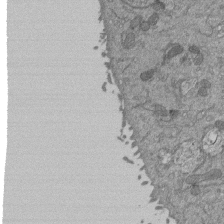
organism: Mouse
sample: ED-1 cell nuclei; centrioles